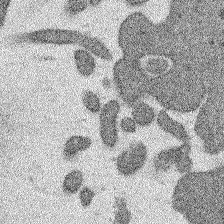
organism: Human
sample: HeLa cells